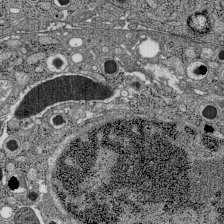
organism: C57BL Mouse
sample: Pancreatic islet